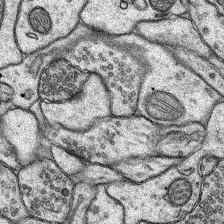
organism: Rat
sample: Hippocampus